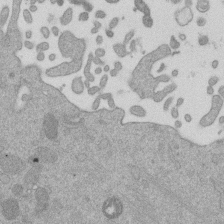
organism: Mouse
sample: Dividing mouse embryo 1 cell stage